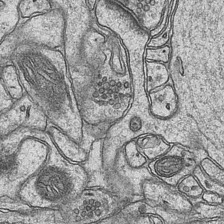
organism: Mouse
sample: CA1 Hippocampus